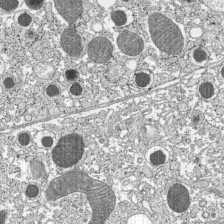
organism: C57BL Mouse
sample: Pancreatic islet